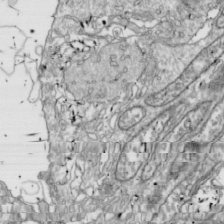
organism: Drosophila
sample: Cell division; meiosis; drosophila spermatocytes